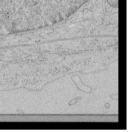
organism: Human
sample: Mitochondria in HCT116 cells